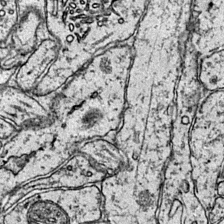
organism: Mouse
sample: Primary visual cortex